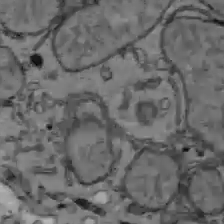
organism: C57BL Mouse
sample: Liver